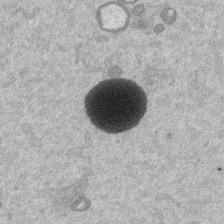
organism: Mouse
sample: Dividing mouse embryo 1 cell stage